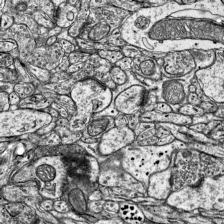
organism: Mouse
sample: Visual Cortex